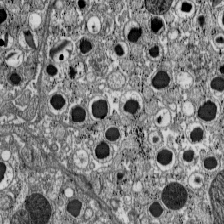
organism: C57BL Mouse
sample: Pancreatic islet